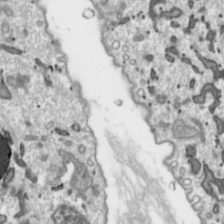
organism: Toxoplasma gondii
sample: Parasites in a vacuole inside a host cell